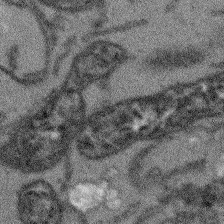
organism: Arabidopsis thaliana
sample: Root tip